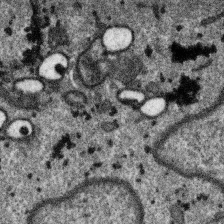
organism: Human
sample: Lung epithelial cells infected with SARS-CoV-2